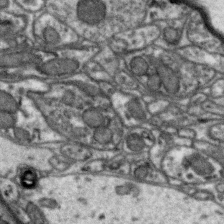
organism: Zebra finch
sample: Brain